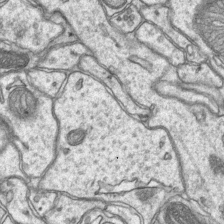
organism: Mouse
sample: CA1 Hippocampus